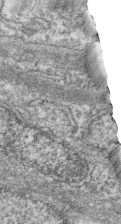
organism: Zebrafish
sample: Cilia; retinal pigment epithelium